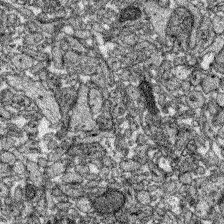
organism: Zebrafish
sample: Larval olfactory bulb